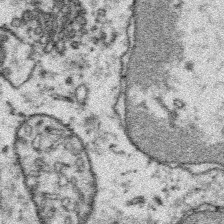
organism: Platynereis dumerilii